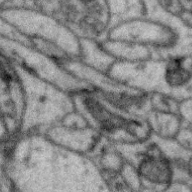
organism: Zebra finch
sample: Brain